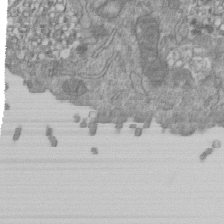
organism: Mouse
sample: ED-1 cell nuclei; centrioles